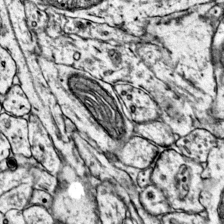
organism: Mouse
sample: Primary visual cortex